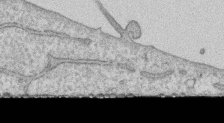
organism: Human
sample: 1205lu cells